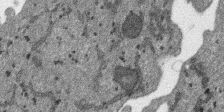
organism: Human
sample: Lung epithelial cells infected with SARS-CoV-2